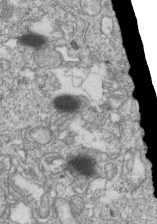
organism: Human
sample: HeLa cell HIV synapse